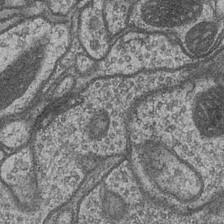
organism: Drosophila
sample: Optic medulla